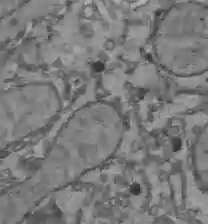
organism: C57BL Mouse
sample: Liver